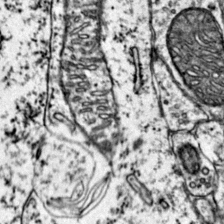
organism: Mouse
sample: Primary visual cortex